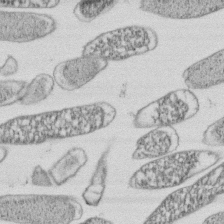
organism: E. coli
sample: Bacterial nucleoid